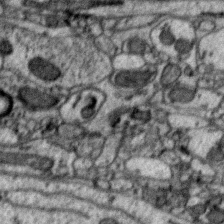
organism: Zebra finch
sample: Brain